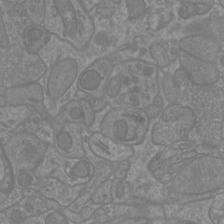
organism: Mouse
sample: Cortical neurons